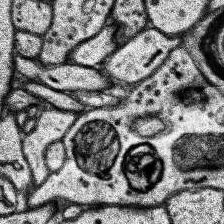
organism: Human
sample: Temporal Lobe